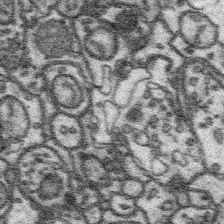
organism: Platynereis dumerilii